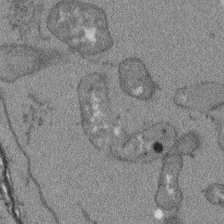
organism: Arabidopsis thaliana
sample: Root tip